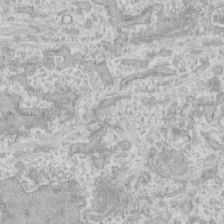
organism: Human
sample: CRL-1474